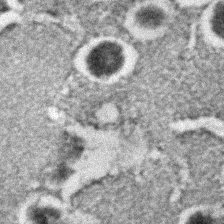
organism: C. elegans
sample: C. elegans embryo